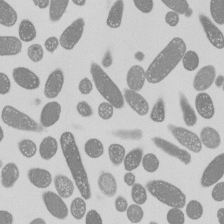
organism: E. coli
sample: Bacterial nucleoid